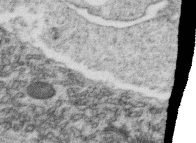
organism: C. elegans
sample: C. elegans oocyte; sperm cells